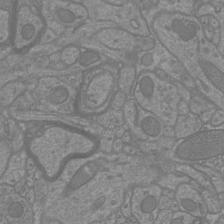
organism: Mouse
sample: Cortical neurons